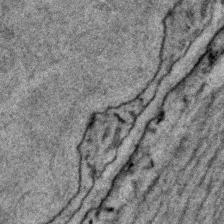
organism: C. elegans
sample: C. elegans embryo